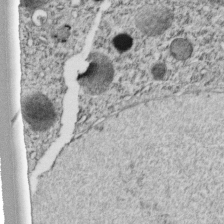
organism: C. elegans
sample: C. elegans embryo early stage